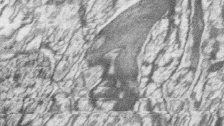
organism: Zebrafish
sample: synaptic ribbons in rod cells and cone cells